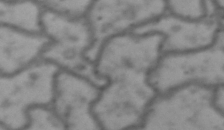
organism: Drosophila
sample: Brain